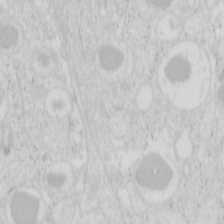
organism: Mouse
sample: Pancreas